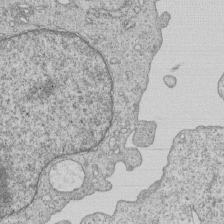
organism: Human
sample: MDA-MB-231 cells